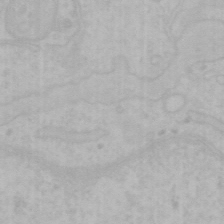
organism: Mouse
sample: Choroid plexus